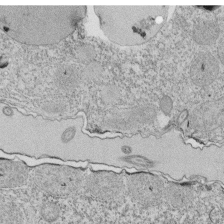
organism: Tetrahymena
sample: Cilia in tetrahymena